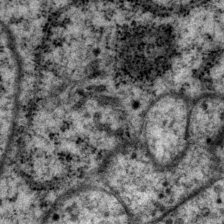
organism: P. pacificus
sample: Pharynx